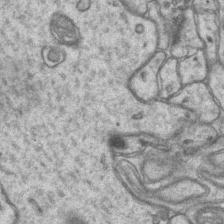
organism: Mouse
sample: CA1 Hippocampus